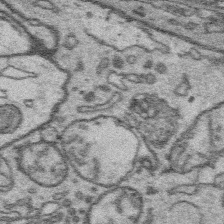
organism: Platynereis dumerilii